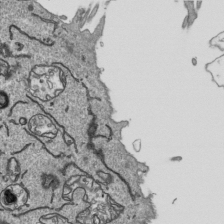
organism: Human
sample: Mitochondria in HCT116 cells